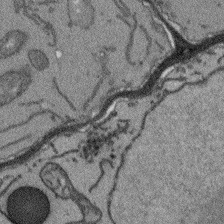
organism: Arabidopsis thaliana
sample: Root tip